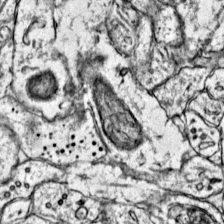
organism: Mouse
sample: Primary visual cortex